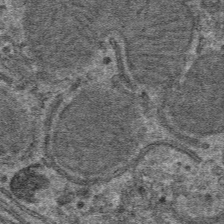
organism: Mouse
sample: Mouse hepatocytes